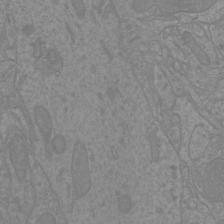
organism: Mouse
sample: Cortical neurons